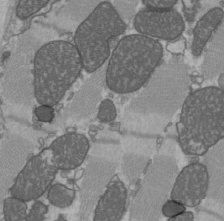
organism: C57BL Mouse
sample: Heart